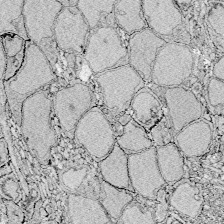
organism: Zebrafish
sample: Whole-Brain